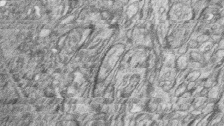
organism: Zebrafish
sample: synaptic ribbons in rod cells and cone cells